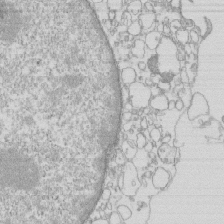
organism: Mouse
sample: Macrophages